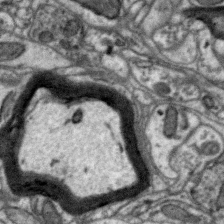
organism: Zebra finch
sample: Brain